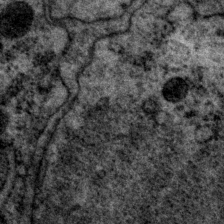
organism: P. pacificus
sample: Pharynx